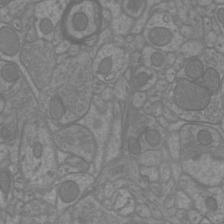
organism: Mouse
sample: Cortical neurons